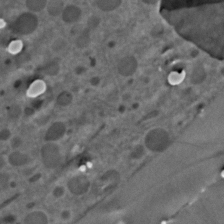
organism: C. elegans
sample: C. elegans embryo